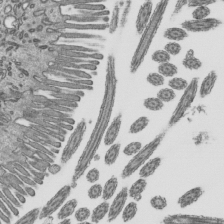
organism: Mouse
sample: Mouse epididymis efferent ductule cilia